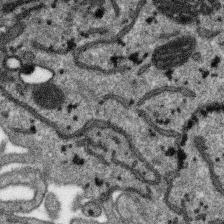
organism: Human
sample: Lung epithelial cells infected with SARS-CoV-2